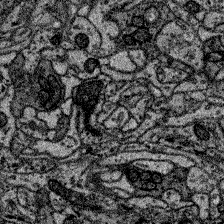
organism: Zebrafish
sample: Larval olfactory bulb